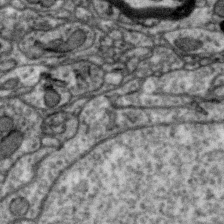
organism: Zebra finch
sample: Brain